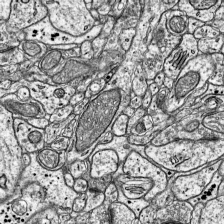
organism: Mouse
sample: Visual Cortex